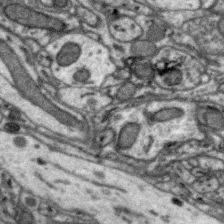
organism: Zebra finch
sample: Brain